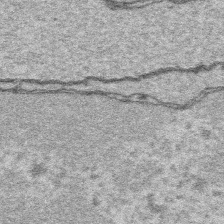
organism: Platynereis dumerilii